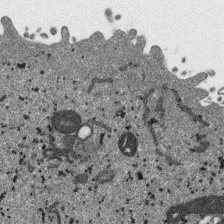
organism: Human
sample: Lung epithelial cells infected with SARS-CoV-2